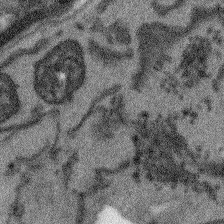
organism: Arabidopsis thaliana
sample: Root tip